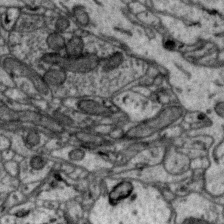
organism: Zebra finch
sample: Brain